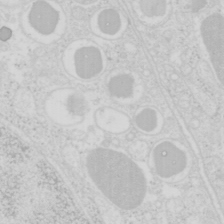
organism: Mouse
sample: Pancreas